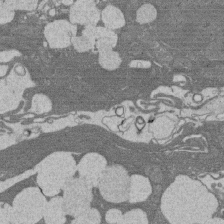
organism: Rat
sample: Salivary granule